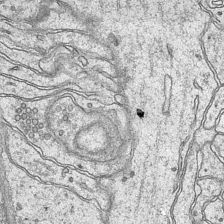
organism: Mouse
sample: CA1 Hippocampus